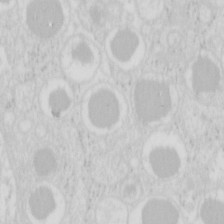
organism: Mouse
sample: Pancreas